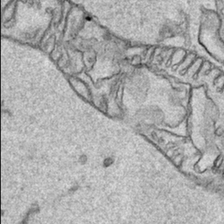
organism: Human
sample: Mitochondria in HCT116 cells